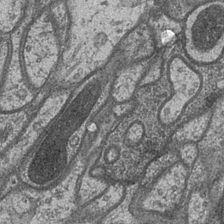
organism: Drosophila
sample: Optic medulla